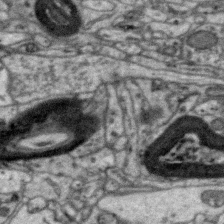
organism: Zebra finch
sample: Brain